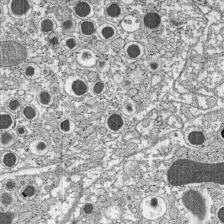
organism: C57BL Mouse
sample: Pancreatic islet